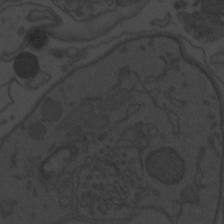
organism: Zebrafish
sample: Macrophage infected with Toxoplasma gondii